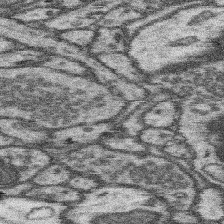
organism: Mouse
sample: Somatosensory cortex neuropil